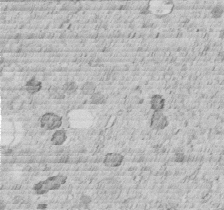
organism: C. elegans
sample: C. elegans embryo early stage